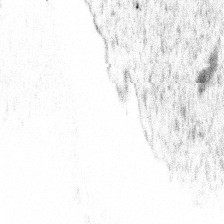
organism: Human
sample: HeLa cells